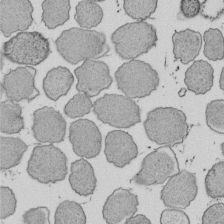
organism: E. coli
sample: Bacterial nucleoid